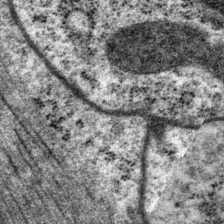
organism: P. pacificus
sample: Pharynx